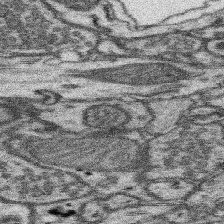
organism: Mouse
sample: Somatosensory cortex neuropil